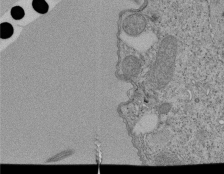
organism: Tetrahymena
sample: Cilia in tetrahymena